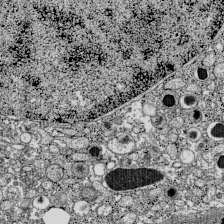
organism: C57BL Mouse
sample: Pancreatic islet